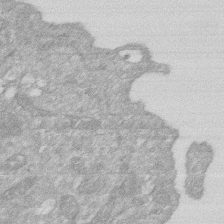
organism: Human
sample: HIV infected U937 cells